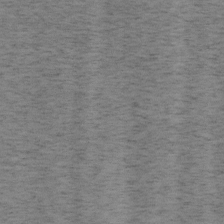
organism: Mouse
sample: OT-I killer T cells with ID8 ovarian cancer cells